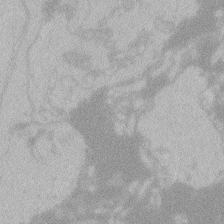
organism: Zebrafish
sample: Macrophage infected with Toxoplasma gondii